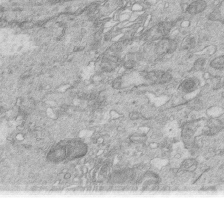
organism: Mouse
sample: Multiciliated cells